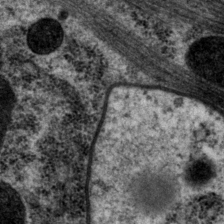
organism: P. pacificus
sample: Pharynx